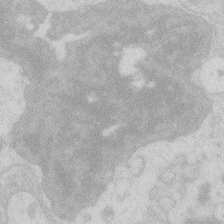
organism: Zebrafish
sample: Macrophage